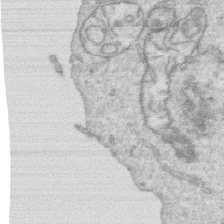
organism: Human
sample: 1205lu cells